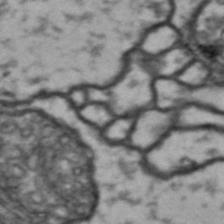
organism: Drosophila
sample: Brain